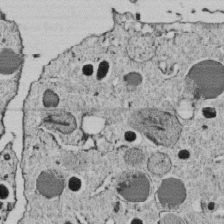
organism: C. elegans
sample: C. elegans embryo early stage